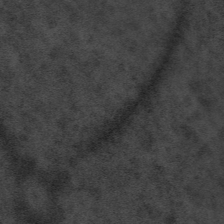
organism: Tuwongella immobilis